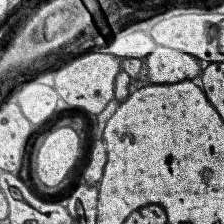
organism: Human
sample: Temporal Lobe